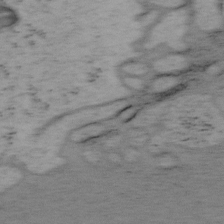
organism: Mouse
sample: OT-I killer T cells with ID8 ovarian cancer cells